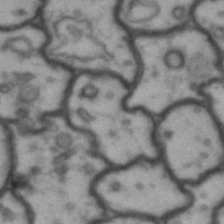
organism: Drosophila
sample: Brain